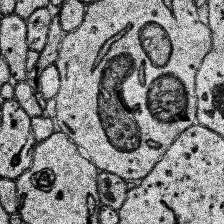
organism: Human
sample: Temporal Lobe